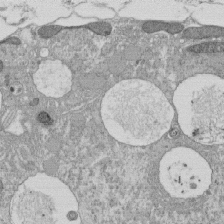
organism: Tetrahymena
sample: Cilia in tetrahymena